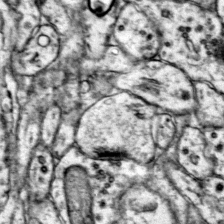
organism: Mouse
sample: Primary visual cortex